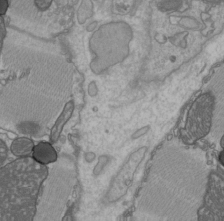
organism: C57BL Mouse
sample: Heart